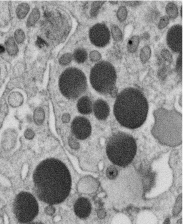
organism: C. elegans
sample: C. elegans oocyte; sperm cells